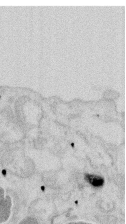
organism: Mouse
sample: T cell stromal cell synapse